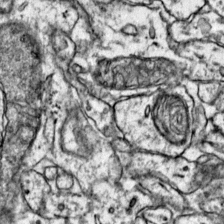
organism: Mouse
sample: Primary visual cortex